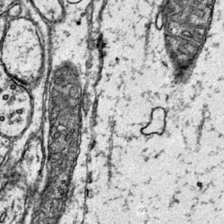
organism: Mouse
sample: Primary visual cortex